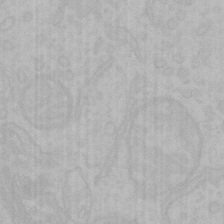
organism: Mouse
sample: Choroid plexus